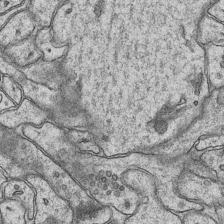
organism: Mouse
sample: CA1 Hippocampus